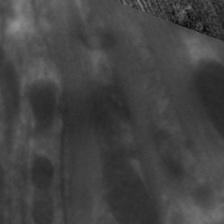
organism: C. elegans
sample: Pharynx